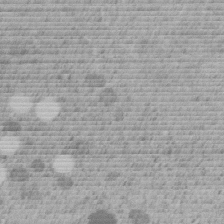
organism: C. elegans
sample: C. elegans embryo early stage